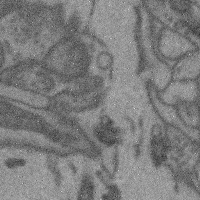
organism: Mouse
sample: Cerebral cortex